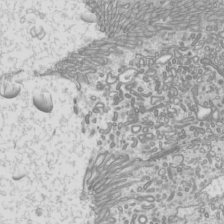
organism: Mouse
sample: Cilia; mouse epididymis